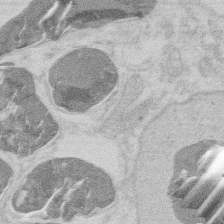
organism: Mouse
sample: T cell stromal cell synapse